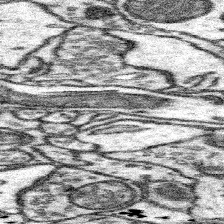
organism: Mouse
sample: Somatosensory cortex neuropil